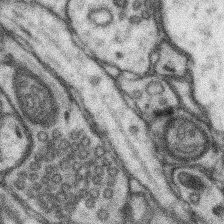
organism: Mouse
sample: Somatosensory cortex neuropil